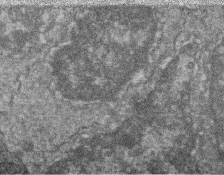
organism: Zebrafish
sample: Cilia; retinal pigment epithelium